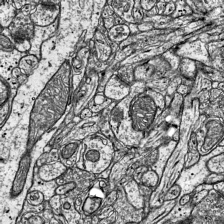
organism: Mouse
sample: Visual Cortex